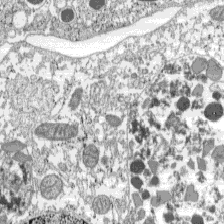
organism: C57BL Mouse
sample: Pancreatic islet